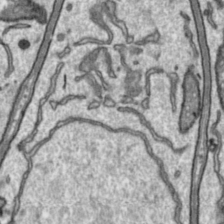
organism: Toxoplasma gondii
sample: Parasites in a vacuole inside a host cell